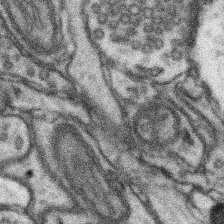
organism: Mouse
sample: Somatosensory cortex neuropil